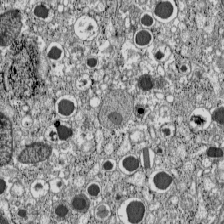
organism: C57BL Mouse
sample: Pancreatic islet